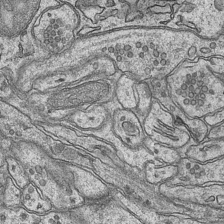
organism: Mouse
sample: CA1 Hippocampus